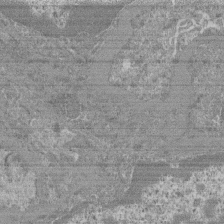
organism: Mouse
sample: Glomerulus